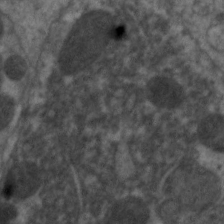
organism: C. elegans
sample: Pharynx